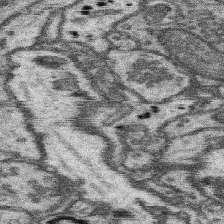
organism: Mouse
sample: Somatosensory cortex neuropil